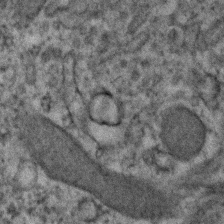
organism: Human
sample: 1205lu cells